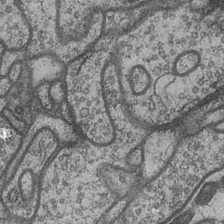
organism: Drosophila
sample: Optic medulla